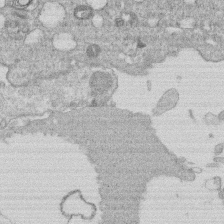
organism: Human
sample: Macrophage cells